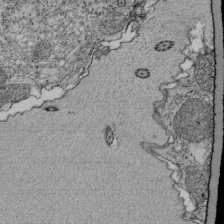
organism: Tetrahymena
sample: Cilia in tetrahymena